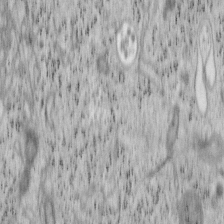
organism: Human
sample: HeLa cells